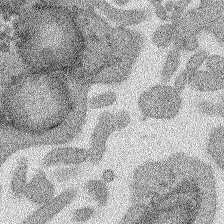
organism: Human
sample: HeLa cells